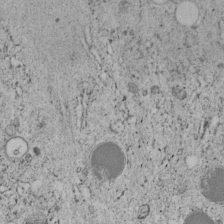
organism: C. elegans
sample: C. elegans embryo early stage